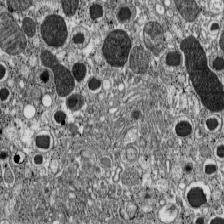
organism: C57BL Mouse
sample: Pancreatic islet